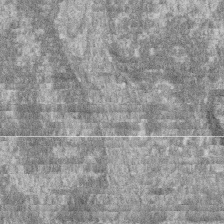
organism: Zebrafish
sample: Cilia; retinal pigment epithelium